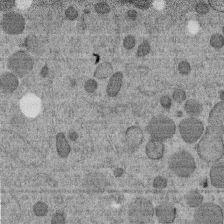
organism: C. elegans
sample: C. elegans embryo early stage